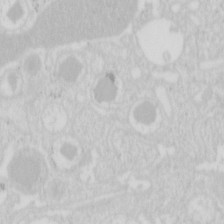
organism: Mouse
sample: Pancreas